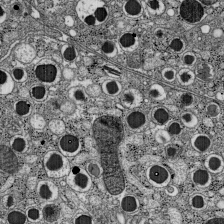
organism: C57BL Mouse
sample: Pancreatic islet